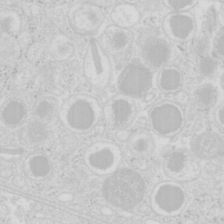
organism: Mouse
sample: Pancreas